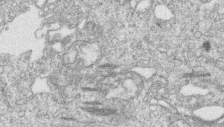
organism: Human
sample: HeLa cell HIV synapse